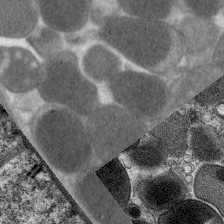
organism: C. elegans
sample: Pharynx